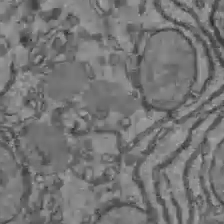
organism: C57BL Mouse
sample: Liver